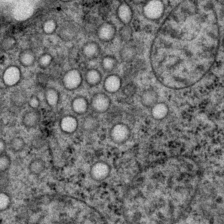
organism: P. pacificus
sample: Pharynx